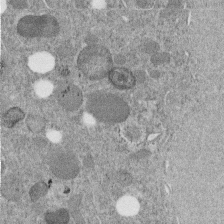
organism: C. elegans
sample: C. elegans embryo early stage